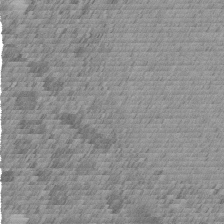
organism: C. elegans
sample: C. elegans embryo early stage